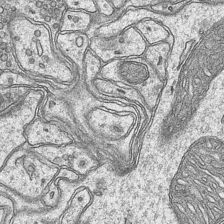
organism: Mouse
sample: CA1 Hippocampus